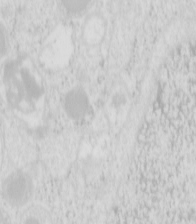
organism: Mouse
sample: Pancreas